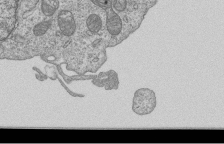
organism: Human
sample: MDA-MB-231 cells